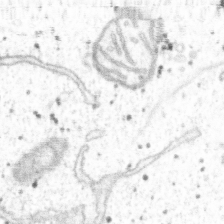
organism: Human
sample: HeLa cells